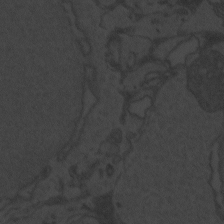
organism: Zebrafish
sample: Macrophage infected with Toxoplasma gondii